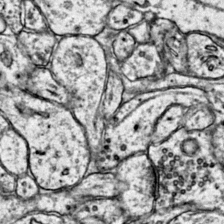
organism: Mouse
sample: Primary visual cortex